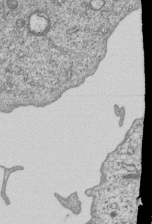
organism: Human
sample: MDA-MB-231 cells